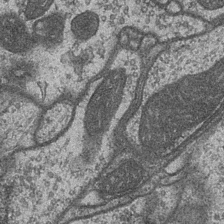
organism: Drosophila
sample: Optic medulla